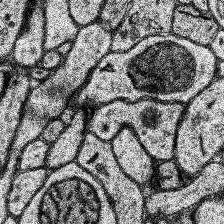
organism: Human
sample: Temporal Lobe